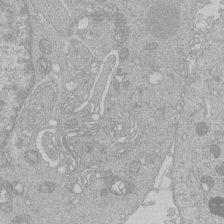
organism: Human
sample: Macrophage cells